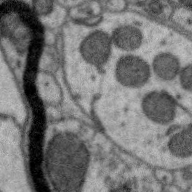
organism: Zebra finch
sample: Brain